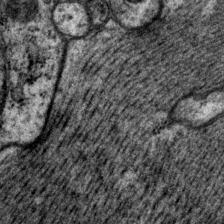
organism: P. pacificus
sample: Pharynx